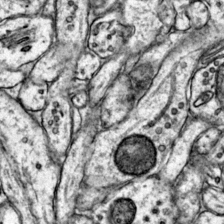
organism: Mouse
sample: Primary visual cortex